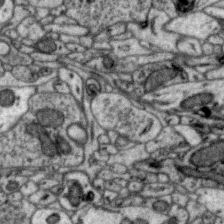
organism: Zebra finch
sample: Brain